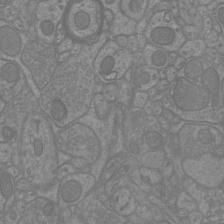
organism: Mouse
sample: Cortical neurons